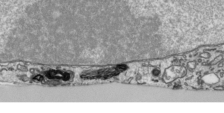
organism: Human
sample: Mitochondria in HCT116 cells